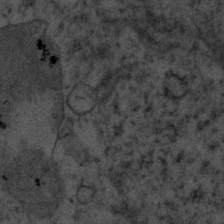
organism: Human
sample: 1205lu cells